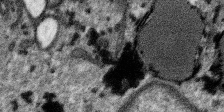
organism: Human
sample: Lung epithelial cells infected with SARS-CoV-2